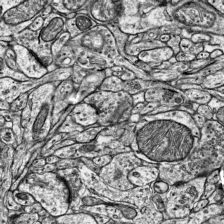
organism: Mouse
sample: Visual Cortex